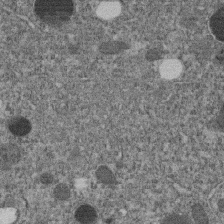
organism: C. elegans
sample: C. elegans embryo early stage